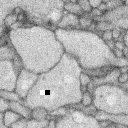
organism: Rabbit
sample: Retina